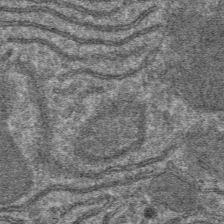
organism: Mouse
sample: Mouse hepatocytes